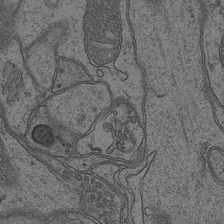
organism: Mouse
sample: CA1 Hippocampus